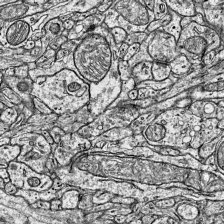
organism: Mouse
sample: Visual Cortex